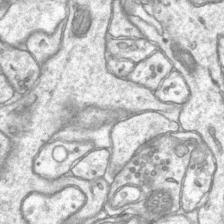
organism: Mouse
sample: CA1 Hippocampus